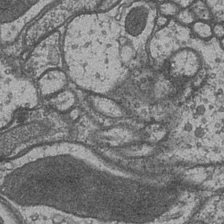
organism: Drosophila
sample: Optic medulla